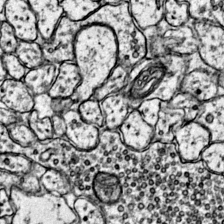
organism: Mouse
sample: Primary visual cortex